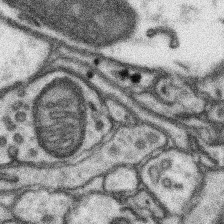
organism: Mouse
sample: Somatosensory cortex neuropil